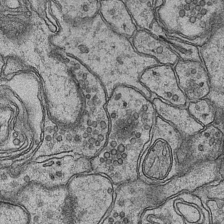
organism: Mouse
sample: CA1 Hippocampus